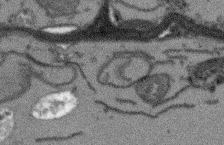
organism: Arabidopsis thaliana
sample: Root tip